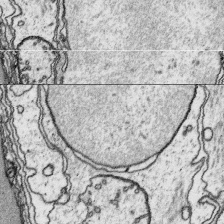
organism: Platynereis dumerilii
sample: Parapodia